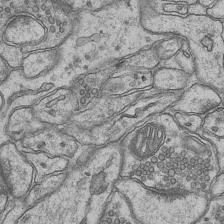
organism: Mouse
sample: CA1 Hippocampus